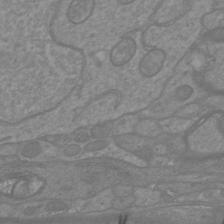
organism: Mouse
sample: Cortical neurons